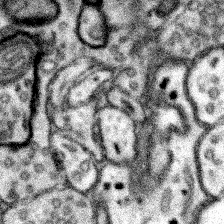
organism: Mouse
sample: Somatosensory cortex neuropil